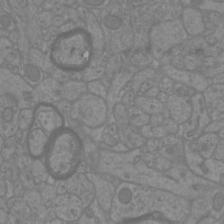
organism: Mouse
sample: Cortical neurons